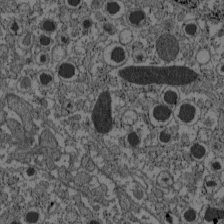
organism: C57BL Mouse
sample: Pancreatic islet